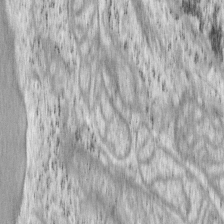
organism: Human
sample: HeLa cells